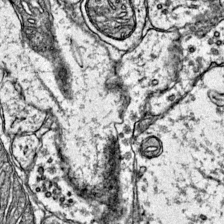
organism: Mouse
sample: Primary visual cortex